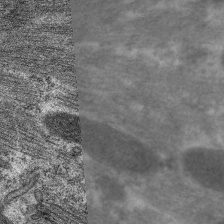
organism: C. elegans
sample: Pharynx